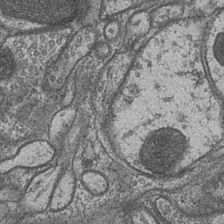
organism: Drosophila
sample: Optic medulla